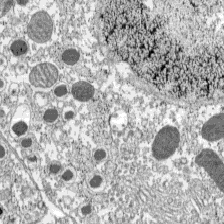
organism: C57BL Mouse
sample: Pancreatic islet